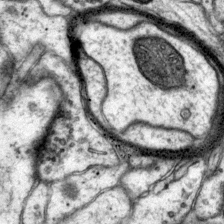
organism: Mouse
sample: Primary visual cortex